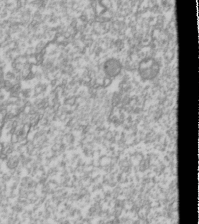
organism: Drosophila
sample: Cell division; meiosis; drosophila spermatocytes